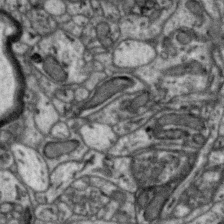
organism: Zebra finch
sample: Brain